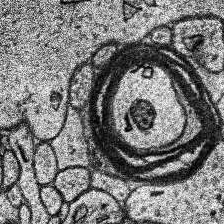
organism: Human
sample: Temporal Lobe